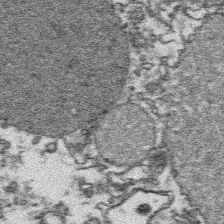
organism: Platynereis dumerilii